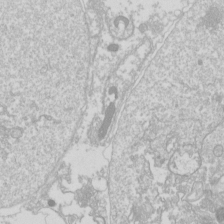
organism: Drosophila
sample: Cell division; meiosis; drosophila spermatocytes